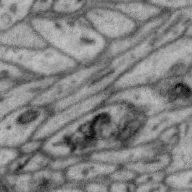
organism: Zebra finch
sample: Brain